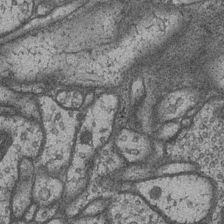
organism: Drosophila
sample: Optic medulla